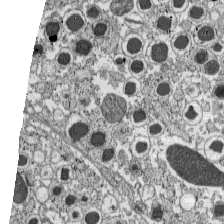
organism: C57BL Mouse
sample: Pancreatic islet